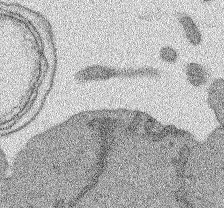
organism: Human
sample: HeLa cells